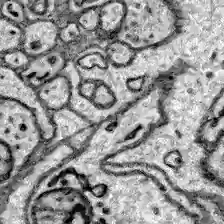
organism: Zebrafish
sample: Brain